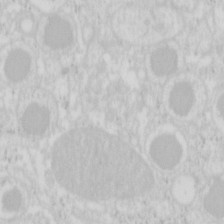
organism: Mouse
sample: Pancreas